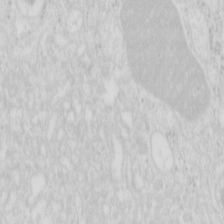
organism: Mouse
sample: Pancreas